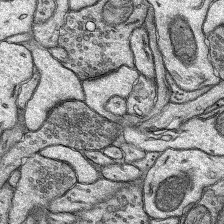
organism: Rat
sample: Hippocampus